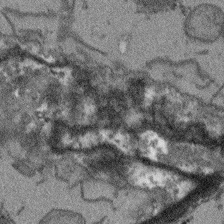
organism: Arabidopsis thaliana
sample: Root tip